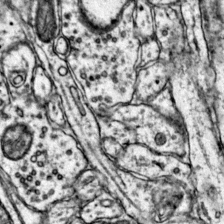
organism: Mouse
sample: Primary visual cortex